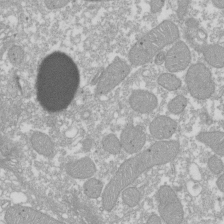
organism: Xenopus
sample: Cilia; centrioles in frog embryo cells